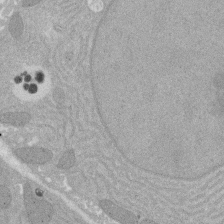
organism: Rat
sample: Salivary granule